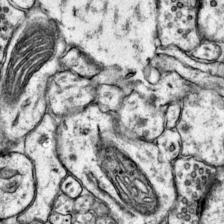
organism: Mouse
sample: Primary visual cortex